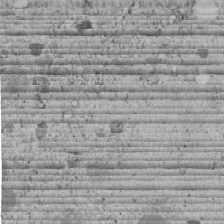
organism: C. elegans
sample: C. elegans embryo early stage